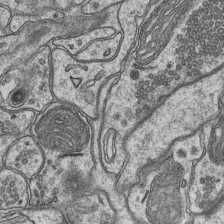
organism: Mouse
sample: CA1 Hippocampus